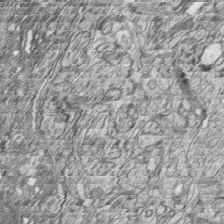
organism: Zebrafish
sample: synaptic ribbons in rod cells and cone cells